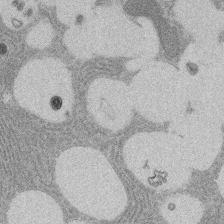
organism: Rat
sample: Salivary granule